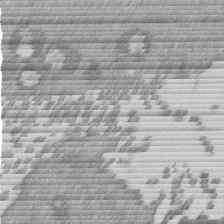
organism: Mouse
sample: Dividing mouse embryo 1 cell stage